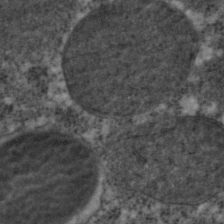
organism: C. elegans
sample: C. elegans embryo